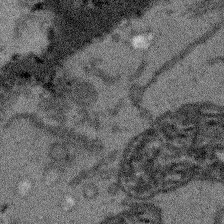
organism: Arabidopsis thaliana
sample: Root tip